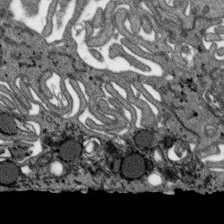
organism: Human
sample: Lung epithelial cells, uninfected (mock) control